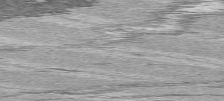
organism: C57BL Mouse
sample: Heart